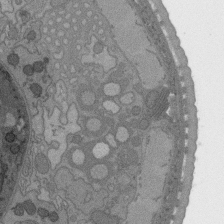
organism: C. elegans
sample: AFD neurons C. elegans